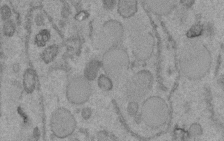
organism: C. elegans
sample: C. elegans embryo early stage